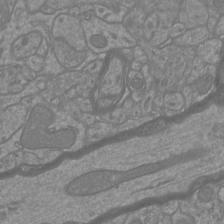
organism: Mouse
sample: Cortical neurons